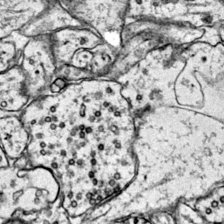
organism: Mouse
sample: Primary visual cortex